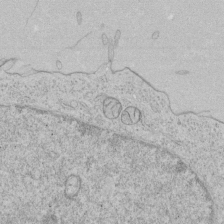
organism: Human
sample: Mitochondria in HCT116 cells